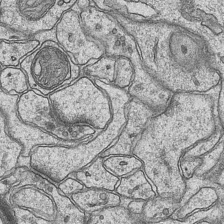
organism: Mouse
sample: CA1 Hippocampus